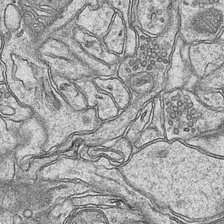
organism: Mouse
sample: CA1 Hippocampus